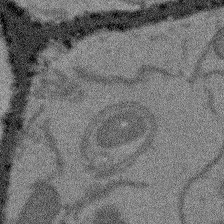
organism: Arabidopsis thaliana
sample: Root tip